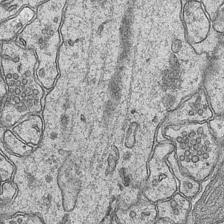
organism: Mouse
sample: CA1 Hippocampus